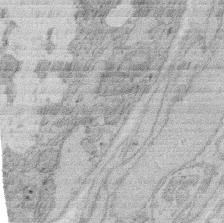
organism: Rat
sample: Salivary granule